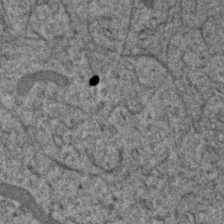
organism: Human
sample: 1205lu cells